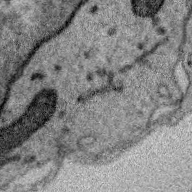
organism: Zebra finch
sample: Brain